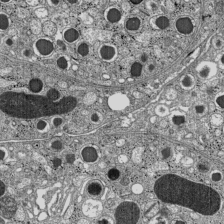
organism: C57BL Mouse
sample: Pancreatic islet